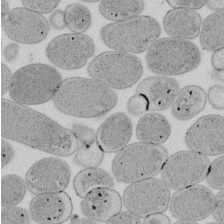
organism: E. coli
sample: Bacterial nucleoid